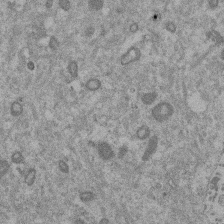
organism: Mouse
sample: Dividing mouse embryo 1 cell stage